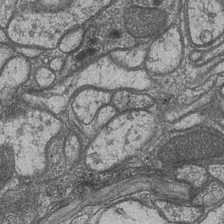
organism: Drosophila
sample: Optic medulla